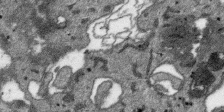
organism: Human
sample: Lung epithelial cells, uninfected (mock) control